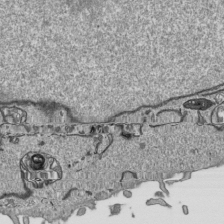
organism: Human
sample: Mitochondria in HCT116 cells